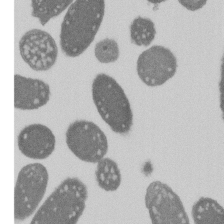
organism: E. coli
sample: Bacterial nucleoid